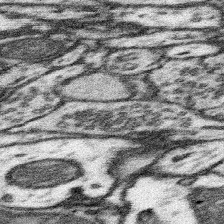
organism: Mouse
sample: Somatosensory cortex neuropil